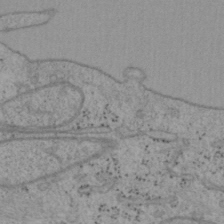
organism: Human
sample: HeLa cells